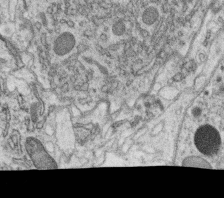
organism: C. elegans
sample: C. elegans oocyte; sperm cells